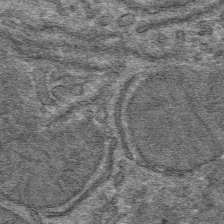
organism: Mouse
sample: Mouse hepatocytes